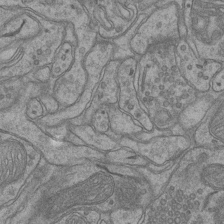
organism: Mouse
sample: CA1 Hippocampus